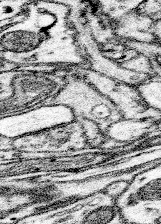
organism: Mouse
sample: Somatosensory cortex neuropil